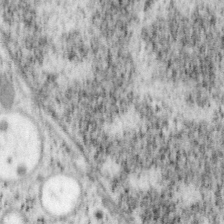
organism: Mouse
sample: OT-I killer T cells with ID8 ovarian cancer cells